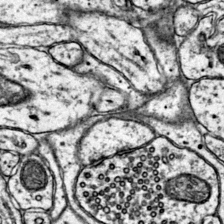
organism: Mouse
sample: Primary visual cortex